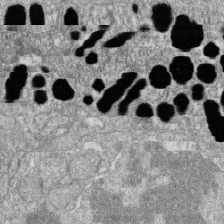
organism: Zebrafish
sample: Cilia; retinal pigment epithelium